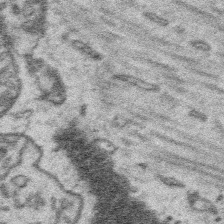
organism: Platynereis dumerilii